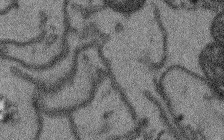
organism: Arabidopsis thaliana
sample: Root tip